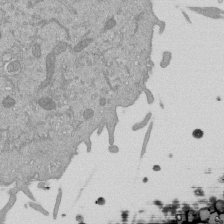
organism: Mouse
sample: ED-1 cell nuclei; centrioles